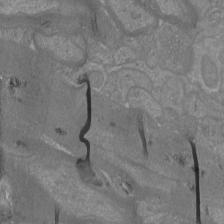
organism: Mouse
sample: Cortical neurons